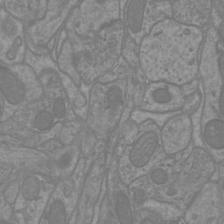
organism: Mouse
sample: Cortical neurons